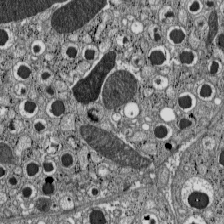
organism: C57BL Mouse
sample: Pancreatic islet